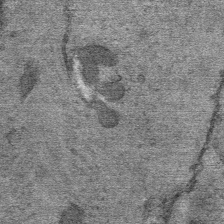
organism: Mouse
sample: Mouse Salivary gland